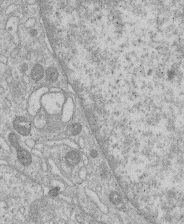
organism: Human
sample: Macrophage cells